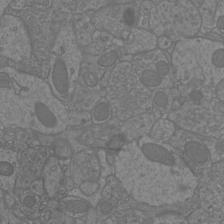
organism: Mouse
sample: Cortical neurons